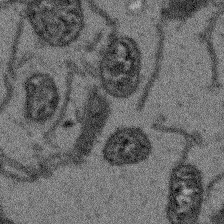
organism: Arabidopsis thaliana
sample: Root tip